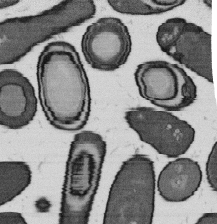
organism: B. subtilis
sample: Bacterial spore